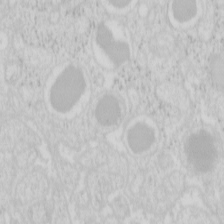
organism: Mouse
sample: Pancreas